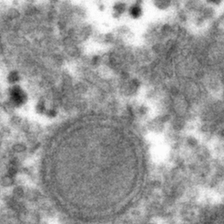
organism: Mouse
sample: Mouse hepatocytes